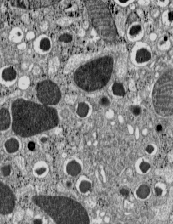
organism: C57BL Mouse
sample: Pancreatic islet